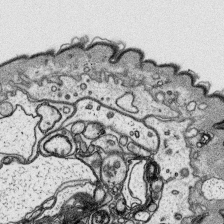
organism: Platynereis dumerilii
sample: Parapodia